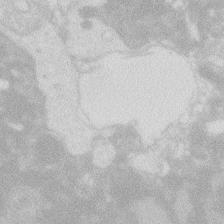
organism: Zebrafish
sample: Macrophage